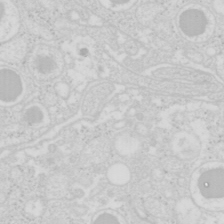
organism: Mouse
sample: Pancreas